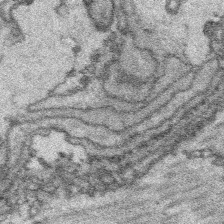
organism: Platynereis dumerilii